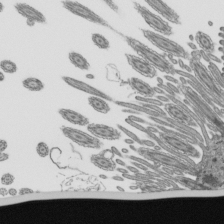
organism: Mouse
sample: Mouse epididymis efferent ductule cilia